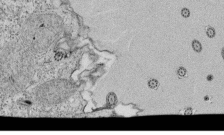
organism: Tetrahymena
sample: Cilia in tetrahymena